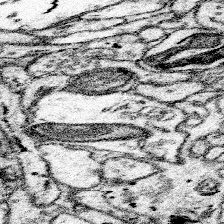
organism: Mouse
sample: Somatosensory cortex neuropil